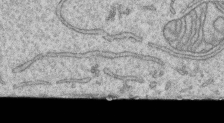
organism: Human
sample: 1205lu cells